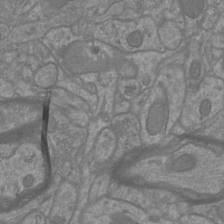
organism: Mouse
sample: Cortical neurons